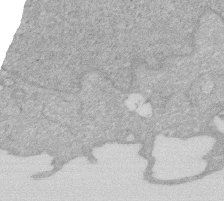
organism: Human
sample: HIV infected U937 cells